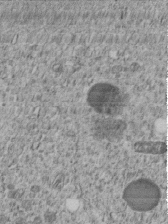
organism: C. elegans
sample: C. elegans embryo early stage